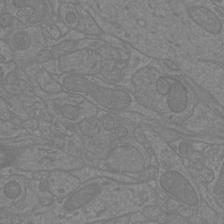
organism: Mouse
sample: Cortical neurons